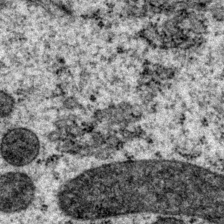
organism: P. pacificus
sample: Pharynx